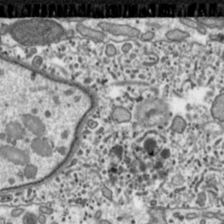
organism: Toxoplasma gondii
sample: Parasites in a vacuole inside a host cell